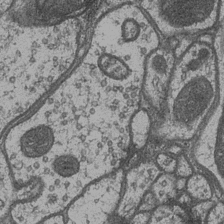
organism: Drosophila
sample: Optic medulla